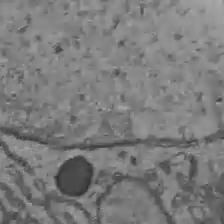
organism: C57BL Mouse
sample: Liver